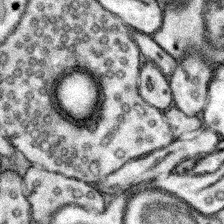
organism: Mouse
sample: Somatosensory cortex neuropil